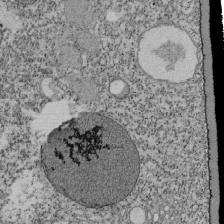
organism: Tetrahymena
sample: Cilia in tetrahymena